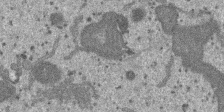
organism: Human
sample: Lung epithelial cells infected with SARS-CoV-2